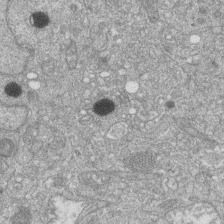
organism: Human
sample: HeLa cell HIV synapse